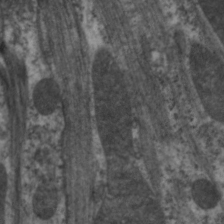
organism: C. elegans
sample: Pharynx